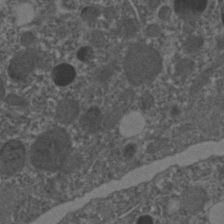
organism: C. elegans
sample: C. elegans embryo